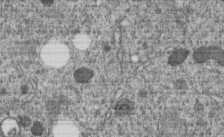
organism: C. elegans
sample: C. elegans embryo early stage